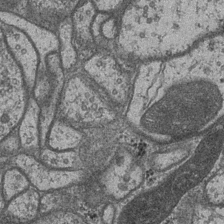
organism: Drosophila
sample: Optic medulla